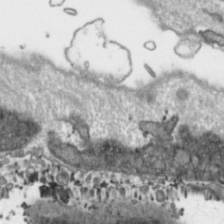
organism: Toxoplasma gondii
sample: Parasites in a vacuole inside a host cell